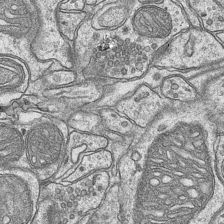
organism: Mouse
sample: CA1 Hippocampus